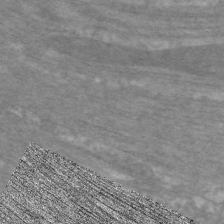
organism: C. elegans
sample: Pharynx